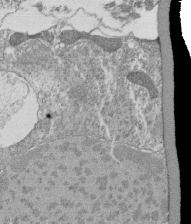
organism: Tetrahymena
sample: Cilia in tetrahymena